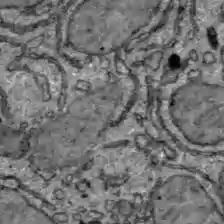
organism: C57BL Mouse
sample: Liver